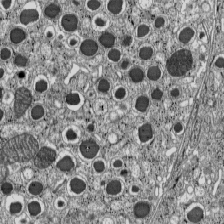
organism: C57BL Mouse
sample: Pancreatic islet